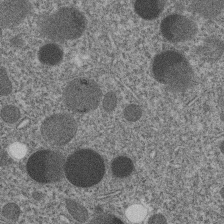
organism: C. elegans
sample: C. elegans embryo early stage